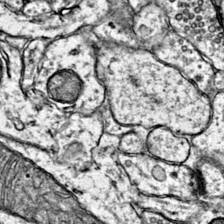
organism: Mouse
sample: Primary visual cortex